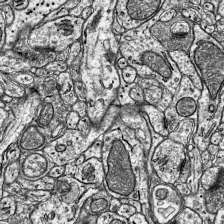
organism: Mouse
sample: Visual Cortex